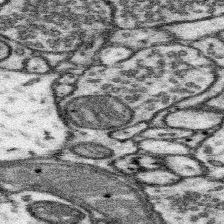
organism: Mouse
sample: Somatosensory cortex neuropil